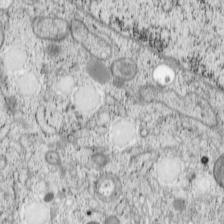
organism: African green monkey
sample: COS-7 cells